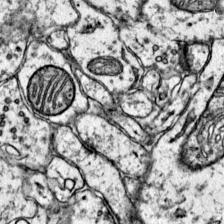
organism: Mouse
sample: Primary visual cortex